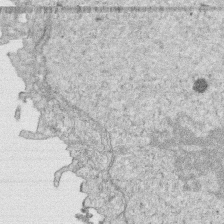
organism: Human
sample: HeLa cell HIV synapse